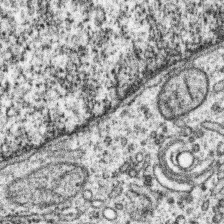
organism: Human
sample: HeLa cells